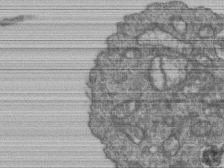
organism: Human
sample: Retinal organoid Rod and Cone cells